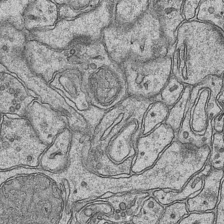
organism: Mouse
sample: CA1 Hippocampus